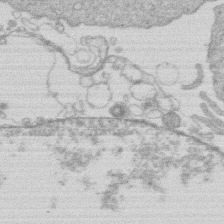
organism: Human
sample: Macrophage cells